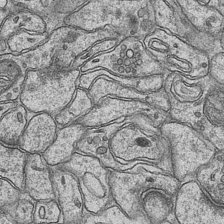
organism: Mouse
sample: CA1 Hippocampus